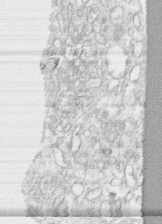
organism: Human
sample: CRL-1474